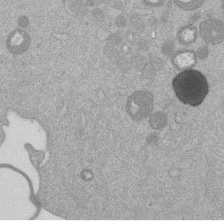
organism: Mouse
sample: Dividing mouse embryo 1 cell stage